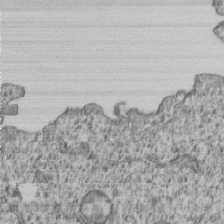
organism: Human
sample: MDA-MB-231 cells